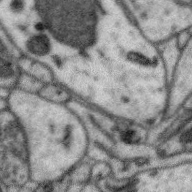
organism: Zebra finch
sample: Brain